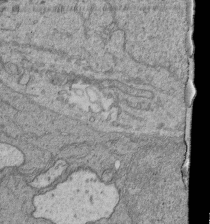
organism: Human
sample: Retinal organoid Rod and Cone cells